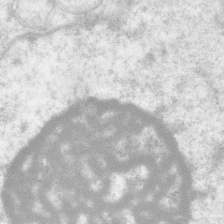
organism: Human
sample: Neocortex